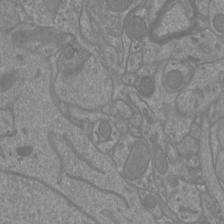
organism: Mouse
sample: Cortical neurons